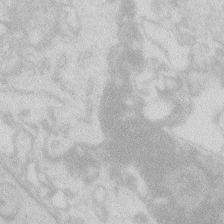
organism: Zebrafish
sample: Macrophage